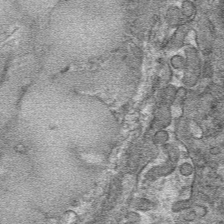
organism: Mouse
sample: Mouse hepatocytes